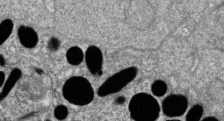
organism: Zebrafish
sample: Cilia; retinal pigment epithelium